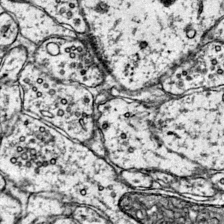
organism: Mouse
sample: Primary visual cortex